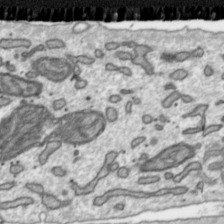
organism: Toxoplasma gondii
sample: Parasites in a vacuole inside a host cell